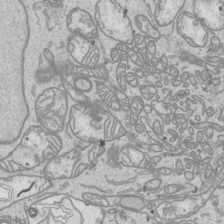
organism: Human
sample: Mitochondria in HCT116 cells